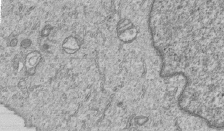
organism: Human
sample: MDA-MB-231 cells